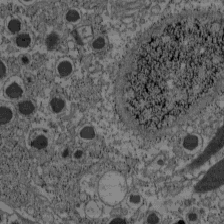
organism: C57BL Mouse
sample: Pancreatic islet